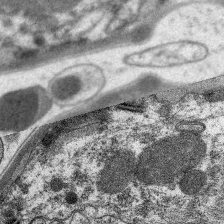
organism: C. elegans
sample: Pharynx